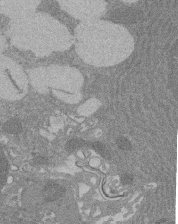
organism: Rat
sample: Salivary granule